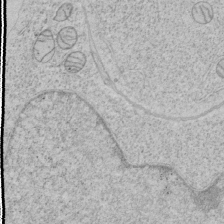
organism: Human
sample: Mitochondria in HCT116 cells